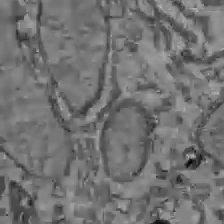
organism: C57BL Mouse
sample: Liver